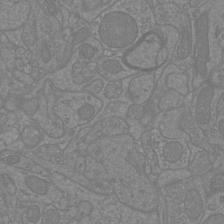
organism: Mouse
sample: Cortical neurons